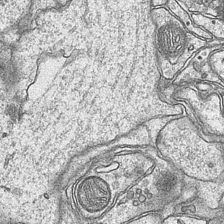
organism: Mouse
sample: CA1 Hippocampus